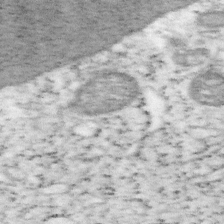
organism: Mouse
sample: OT-I killer T cells with ID8 ovarian cancer cells